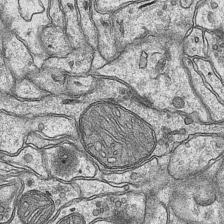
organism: Mouse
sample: CA1 Hippocampus